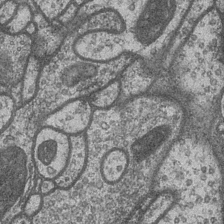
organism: Drosophila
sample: Optic medulla